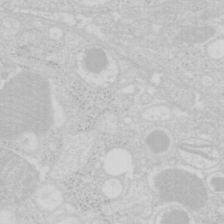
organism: Mouse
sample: Pancreas